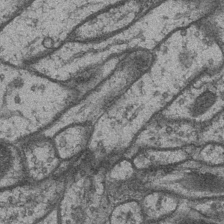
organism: Drosophila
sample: Optic medulla